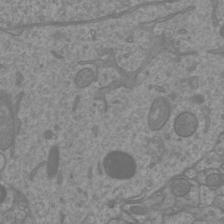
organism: Mouse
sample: Cortical neurons